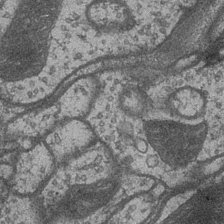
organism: Drosophila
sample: Optic medulla